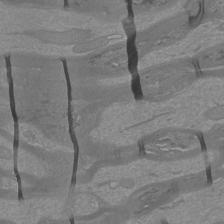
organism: Mouse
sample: Cortical neurons